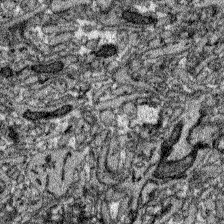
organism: Zebrafish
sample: Larval olfactory bulb